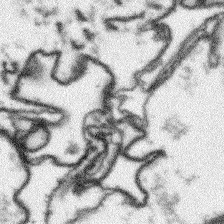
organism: Arabidopsis thaliana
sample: Root tip